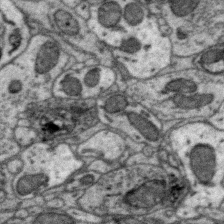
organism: Zebra finch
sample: Brain